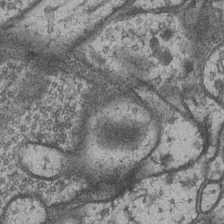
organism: Drosophila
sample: Optic medulla